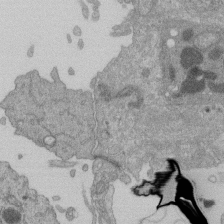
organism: Human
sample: Retinal organoid Rod and Cone cells